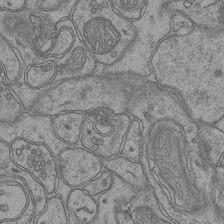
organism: Mouse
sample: CA1 Hippocampus